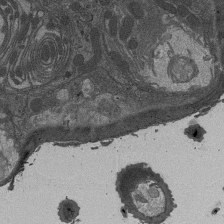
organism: Drosophila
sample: Antenna